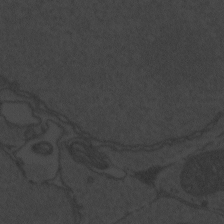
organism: Zebrafish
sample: Macrophage infected with Toxoplasma gondii